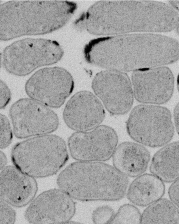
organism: E. coli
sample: Bacterial nucleoid